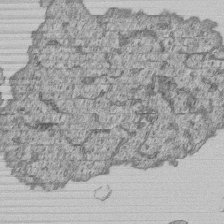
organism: Human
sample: MDA-MB-231 cells